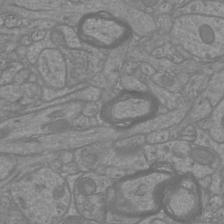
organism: Mouse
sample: Cortical neurons